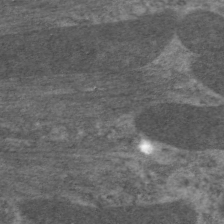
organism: C. elegans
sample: Pharynx